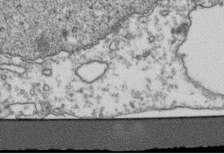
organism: Human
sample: Activated Jurkat CD4+ T cells